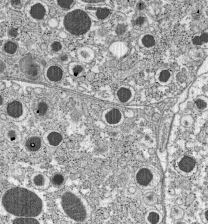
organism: C57BL Mouse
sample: Pancreatic islet